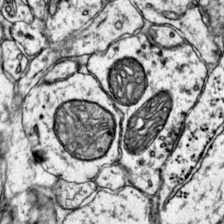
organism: Mouse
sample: Primary visual cortex